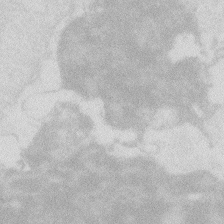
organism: Zebrafish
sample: Macrophage